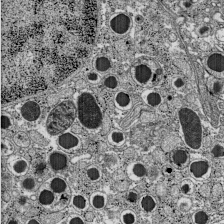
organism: C57BL Mouse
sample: Pancreatic islet